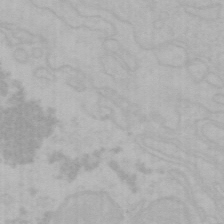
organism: Mouse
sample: Choroid plexus